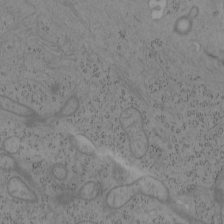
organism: Mouse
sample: OT-I killer T cells with ID8 ovarian cancer cells